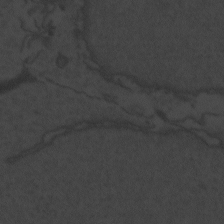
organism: Zebrafish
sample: Macrophage infected with Toxoplasma gondii